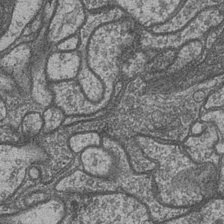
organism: Drosophila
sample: Optic medulla